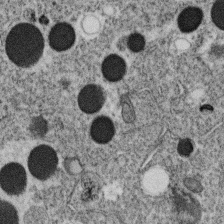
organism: C. elegans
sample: C. elegans oocyte; sperm cells